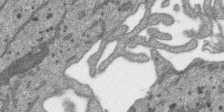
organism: Human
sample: Lung epithelial cells infected with SARS-CoV-2